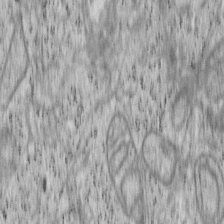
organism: Human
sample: HeLa cells